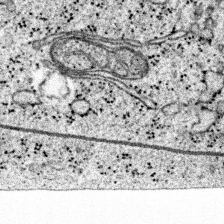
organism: Human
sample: HeLa cells